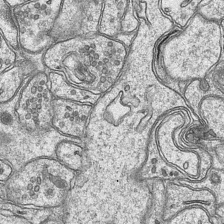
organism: Mouse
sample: CA1 Hippocampus